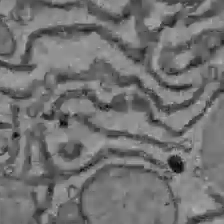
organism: C57BL Mouse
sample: Liver